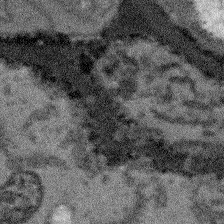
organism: Arabidopsis thaliana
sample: Root tip